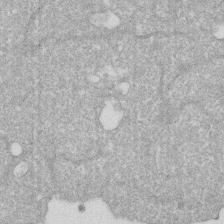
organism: Human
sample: HIV infected U937 cells